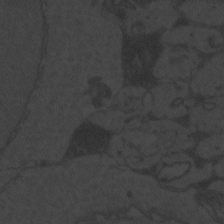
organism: Zebrafish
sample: Macrophage infected with Toxoplasma gondii